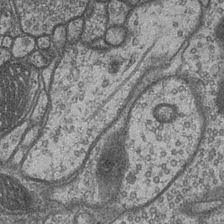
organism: Drosophila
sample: Optic medulla